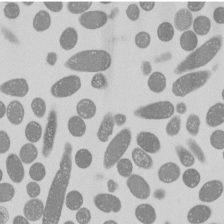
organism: E. coli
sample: Bacterial nucleoid